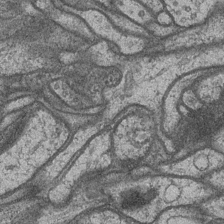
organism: Drosophila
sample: Optic medulla